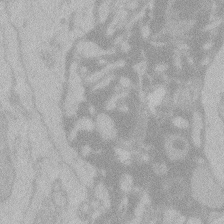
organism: Zebrafish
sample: Macrophage infected with Toxoplasma gondii